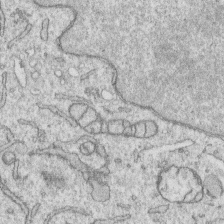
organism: Human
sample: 1205lu cells